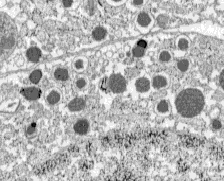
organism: C57BL Mouse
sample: Pancreatic islet